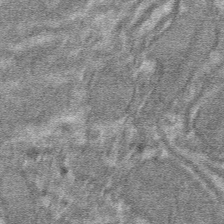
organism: Mouse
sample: Mouse hepatocytes